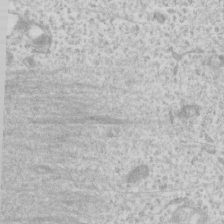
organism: Human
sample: Fibroblast cells